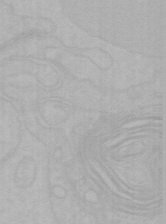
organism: Mouse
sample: Choroid plexus